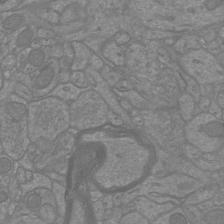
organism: Mouse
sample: Cortical neurons